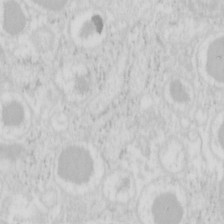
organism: Mouse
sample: Pancreas